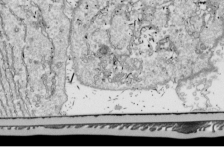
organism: Drosophila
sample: Cell division; meiosis; drosophila spermatocytes